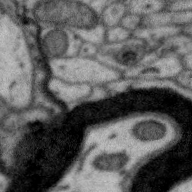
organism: Zebra finch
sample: Brain